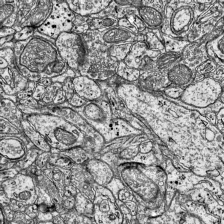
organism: Mouse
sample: Visual Cortex